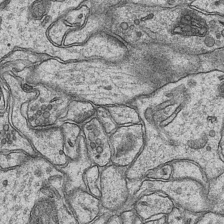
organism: Mouse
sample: CA1 Hippocampus